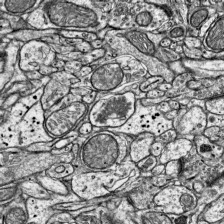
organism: Mouse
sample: Visual Cortex